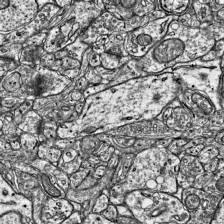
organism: Mouse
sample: Visual Cortex